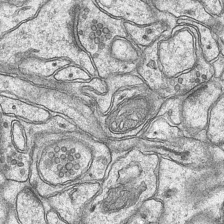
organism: Mouse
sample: CA1 Hippocampus